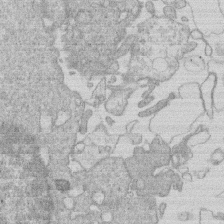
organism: Human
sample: Macrophage cells